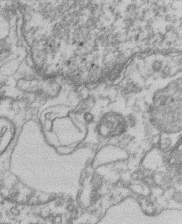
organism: Mouse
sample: T cell stromal cell synapse